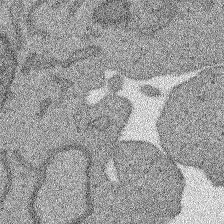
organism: Human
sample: HeLa cells